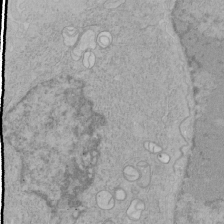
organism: Human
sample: Mitochondria in HCT116 cells